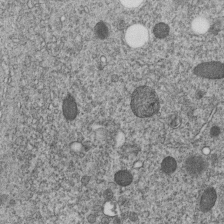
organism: C. elegans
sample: C. elegans embryo early stage